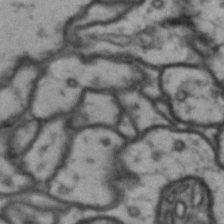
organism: Drosophila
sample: Brain